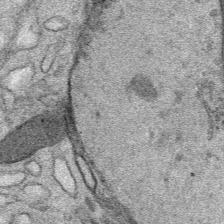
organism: Mouse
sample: Mouse Salivary gland